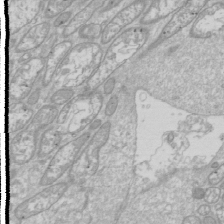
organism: Drosophila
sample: Cell division; meiosis; drosophila spermatocytes